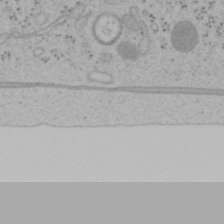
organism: Human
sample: HeLa cells